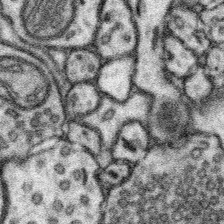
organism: Mouse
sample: Somatosensory cortex neuropil